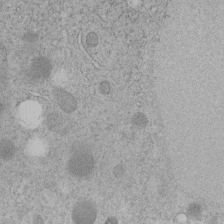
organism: C. elegans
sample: C. elegans embryo early stage